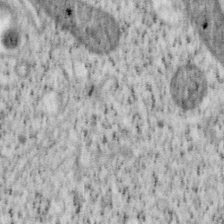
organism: Mouse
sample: OT-I killer T cells with ID8 ovarian cancer cells